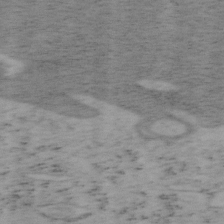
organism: Mouse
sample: OT-I killer T cells with ID8 ovarian cancer cells